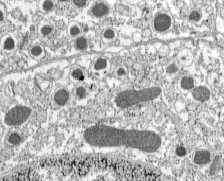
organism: C57BL Mouse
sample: Pancreatic islet